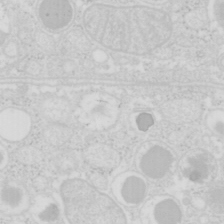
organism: Mouse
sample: Pancreas